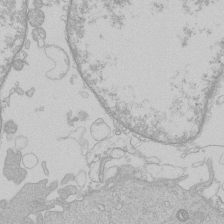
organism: Human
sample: Macrophage cells